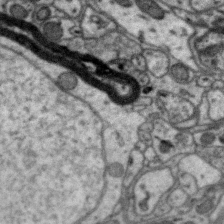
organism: Zebra finch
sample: Brain